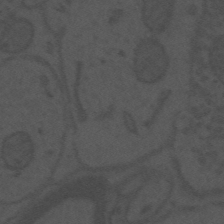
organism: Mouse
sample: Suprachiasmatic nucleus